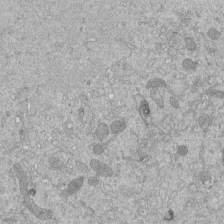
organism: Mouse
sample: ED-1 cell nuclei; centrioles